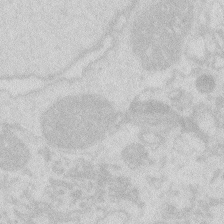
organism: Zebrafish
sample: Macrophage